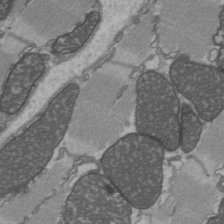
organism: C57BL Mouse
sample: Heart